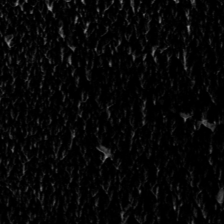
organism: Toxoplasma gondii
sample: Parasites in a vacuole inside a host cell